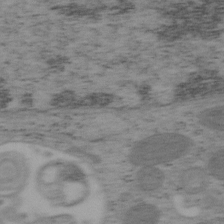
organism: Mouse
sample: OT-I killer T cells with ID8 ovarian cancer cells